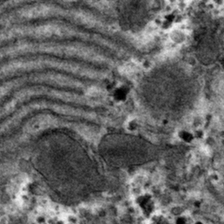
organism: Mouse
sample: Mouse hepatocytes